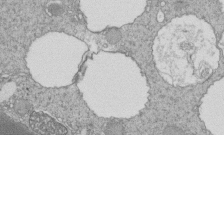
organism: Tetrahymena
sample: Cilia in tetrahymena